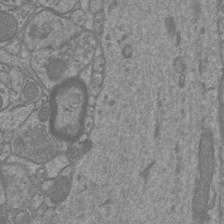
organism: Mouse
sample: Cortical neurons